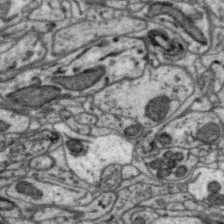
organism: Zebra finch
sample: Brain